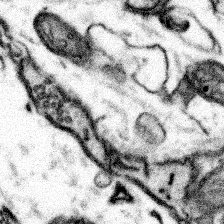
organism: Mouse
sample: Somatosensory cortex neuropil